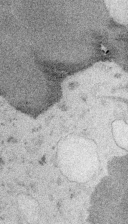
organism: Embia sp.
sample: Silk gland